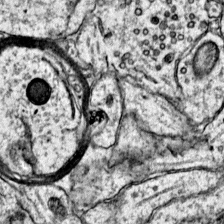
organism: Mouse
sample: Primary visual cortex